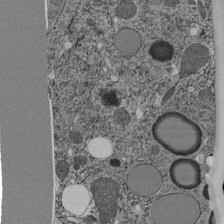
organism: C. elegans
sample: C. elegans pharynx